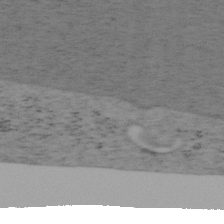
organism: Mouse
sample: OT-I killer T cells with ID8 ovarian cancer cells